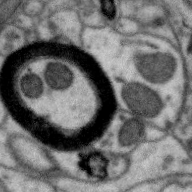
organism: Zebra finch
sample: Brain